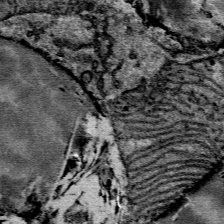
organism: Mouse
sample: Mouse Salivary gland